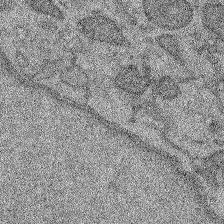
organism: Human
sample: HeLa cells